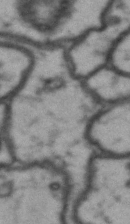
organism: Drosophila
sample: Brain